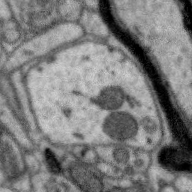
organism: Zebra finch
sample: Brain